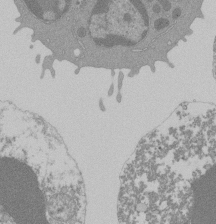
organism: Mouse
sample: Activated Pmel transgenic CD8+ T Cells